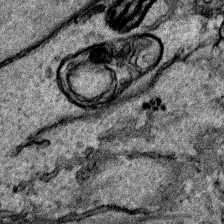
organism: Human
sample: Mitochondria in HCT116 cells